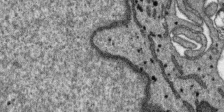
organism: Human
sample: Lung epithelial cells, uninfected (mock) control